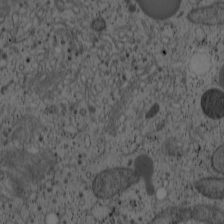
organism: African green monkey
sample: COS-7 cells